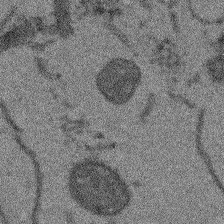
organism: Arabidopsis thaliana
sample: Root tip